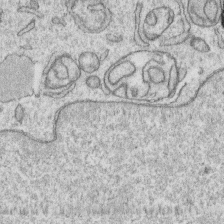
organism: Human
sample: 1205lu cells